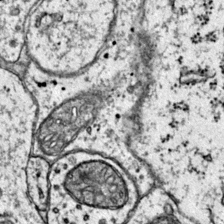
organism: Mouse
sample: Primary visual cortex